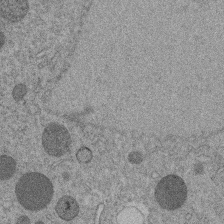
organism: C. elegans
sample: C. elegans embryo early stage